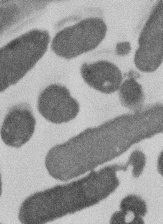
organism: E. coli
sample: Bacterial nucleoid